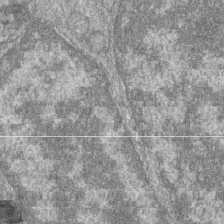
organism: Zebrafish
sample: Cilia; retinal pigment epithelium